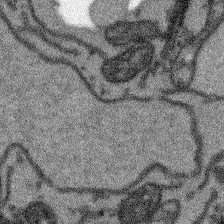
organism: Arabidopsis thaliana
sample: Root tip